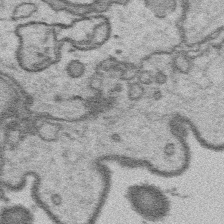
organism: Platynereis dumerilii